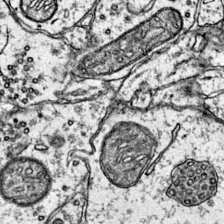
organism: Mouse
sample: Primary visual cortex